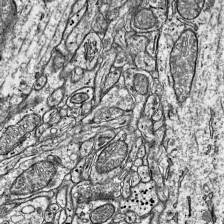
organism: Mouse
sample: Visual Cortex